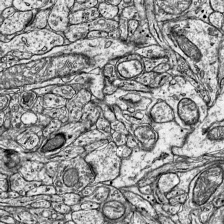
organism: Mouse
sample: Visual Cortex